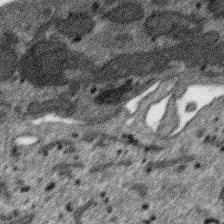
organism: Human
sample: Lung epithelial cells infected with SARS-CoV-2